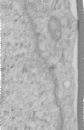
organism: Human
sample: Centriole in RPE cells